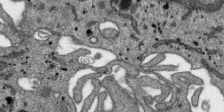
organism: Human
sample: Lung epithelial cells, uninfected (mock) control